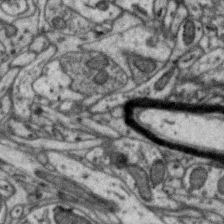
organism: Zebra finch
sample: Brain